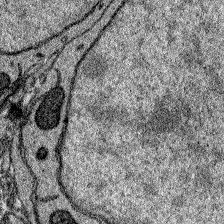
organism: Zebrafish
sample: Larval olfactory bulb